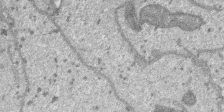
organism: Human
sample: Lung epithelial cells infected with SARS-CoV-2